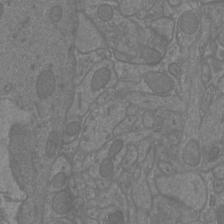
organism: Mouse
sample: Cortical neurons